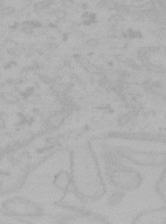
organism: Mouse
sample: Choroid plexus